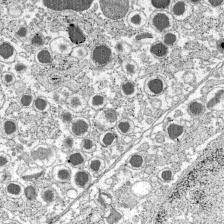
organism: C57BL Mouse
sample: Pancreatic islet